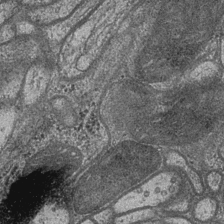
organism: Drosophila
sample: Optic medulla